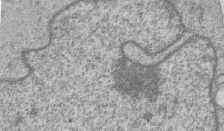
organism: Human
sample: MDA-MB-231 cells